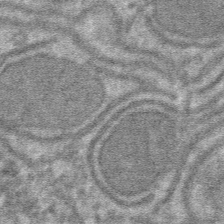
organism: Mouse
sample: Mouse hepatocytes